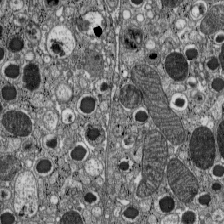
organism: C57BL Mouse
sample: Pancreatic islet